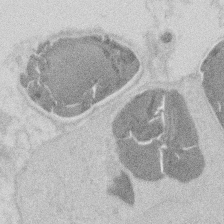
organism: Mouse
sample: T cell stromal cell synapse